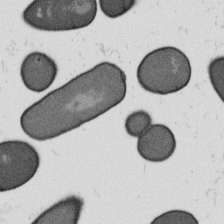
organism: B. subtilis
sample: Bacterial spore